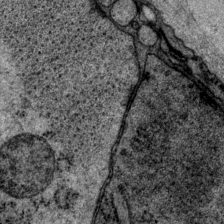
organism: P. pacificus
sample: Pharynx